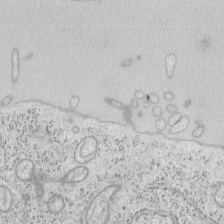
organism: Mouse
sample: OT-I killer T cells with ID8 ovarian cancer cells